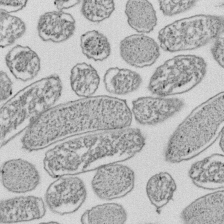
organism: E. coli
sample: Bacterial nucleoid